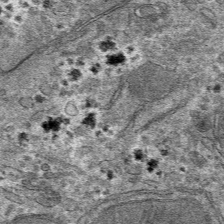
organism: Mouse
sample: Mouse hepatocytes